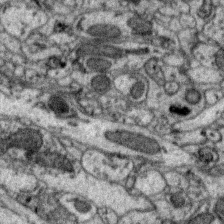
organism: Zebra finch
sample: Brain